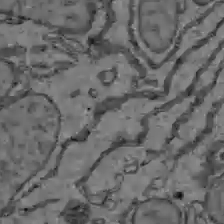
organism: C57BL Mouse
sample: Liver